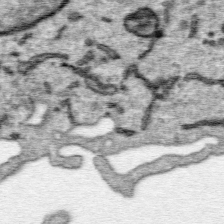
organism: Human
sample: HeLa cells